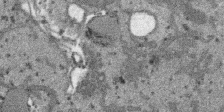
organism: Human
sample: Lung epithelial cells infected with SARS-CoV-2